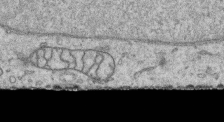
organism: Human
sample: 1205lu cells